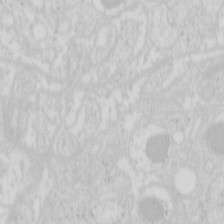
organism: Mouse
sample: Pancreas